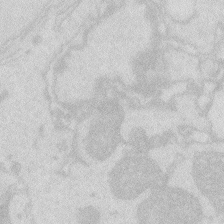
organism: Zebrafish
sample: Macrophage